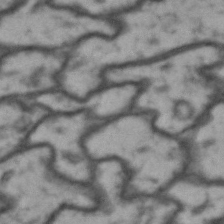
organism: Drosophila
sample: Brain